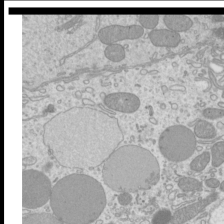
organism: Mouse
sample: Cilia; mouse epididymis